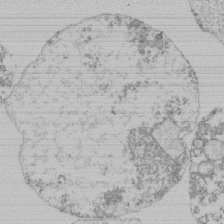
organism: Mouse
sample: Activated Pmel transgenic CD8+ T Cells